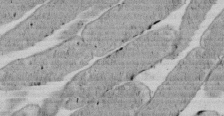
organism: E. coli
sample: Bacterial nucleoid